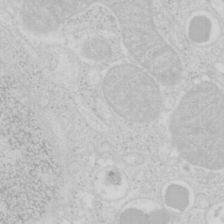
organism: Mouse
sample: Pancreas